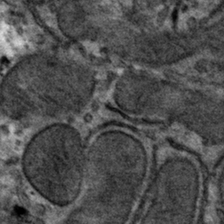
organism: Mouse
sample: Mouse hepatocytes